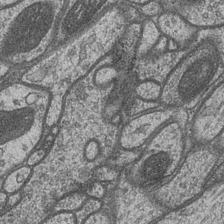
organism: Drosophila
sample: Optic medulla